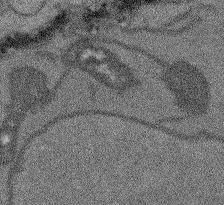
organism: Arabidopsis thaliana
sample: Root tip